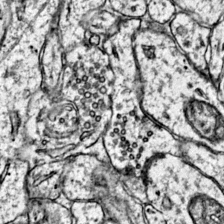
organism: Mouse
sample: Primary visual cortex